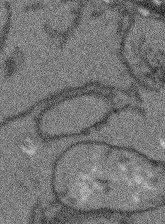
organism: Arabidopsis thaliana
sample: Root tip